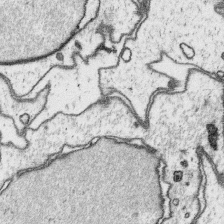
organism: Platynereis dumerilii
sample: Parapodia